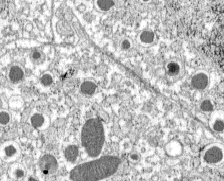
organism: C57BL Mouse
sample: Pancreatic islet